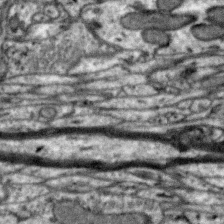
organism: Zebra finch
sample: Brain